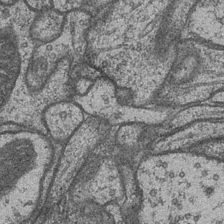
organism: Drosophila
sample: Optic medulla